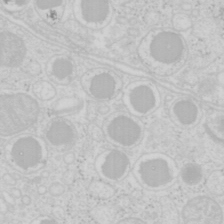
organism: Mouse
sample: Pancreas